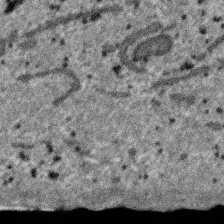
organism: Human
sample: Lung epithelial cells infected with SARS-CoV-2